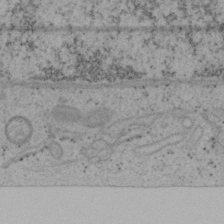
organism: Human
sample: HeLa cells